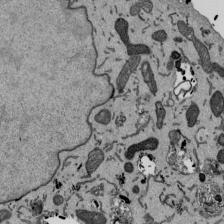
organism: Mouse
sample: ED-1 cell nuclei; centrioles